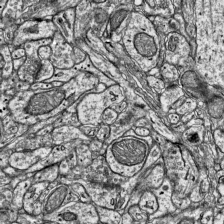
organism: Mouse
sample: Visual Cortex